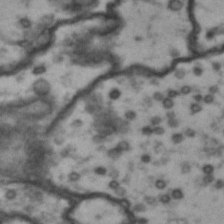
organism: Drosophila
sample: Brain